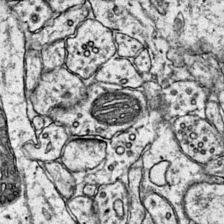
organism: Mouse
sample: Primary visual cortex